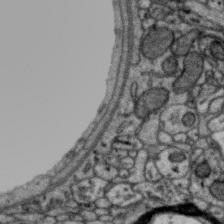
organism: Zebra finch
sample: Brain